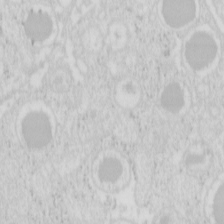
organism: Mouse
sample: Pancreas